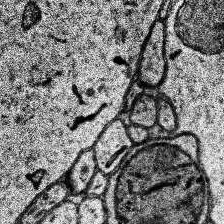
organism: Human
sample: Temporal Lobe